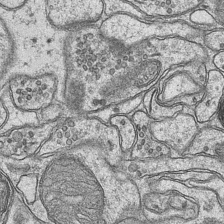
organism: Mouse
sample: CA1 Hippocampus